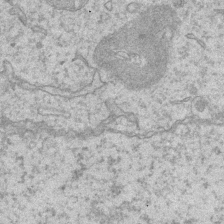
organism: Mouse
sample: CA1 Hippocampus